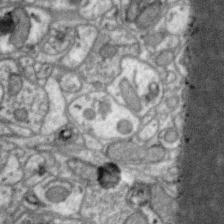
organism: Zebra finch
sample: Brain